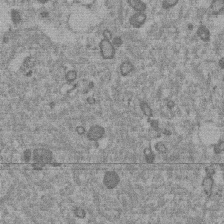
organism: Mouse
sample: Dividing mouse embryo 1 cell stage